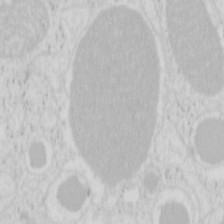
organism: Mouse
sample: Pancreas